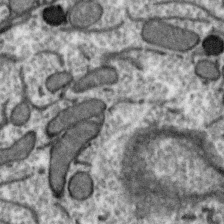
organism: Zebra finch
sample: Brain